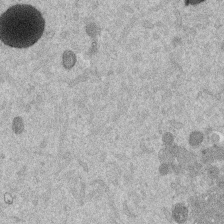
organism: Mouse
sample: Dividing mouse embryo 1 cell stage